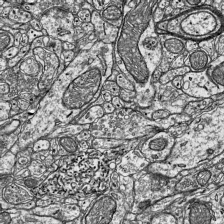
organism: Mouse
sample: Visual Cortex